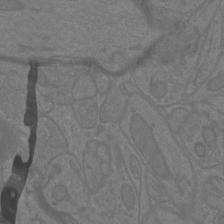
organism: Mouse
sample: Cortical neurons